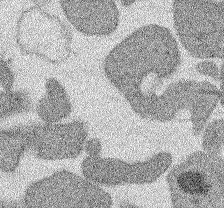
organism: Human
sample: HeLa cells